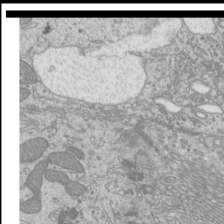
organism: Mouse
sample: Cilia; mouse epididymis